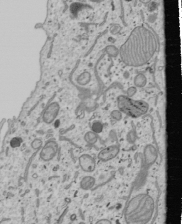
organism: Human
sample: Mitochondria in U2OS cells